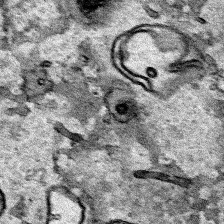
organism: Human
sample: Mitochondria in HCT116 cells